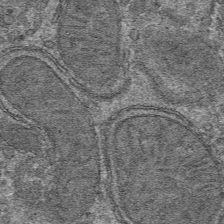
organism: Mouse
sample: Mouse hepatocytes